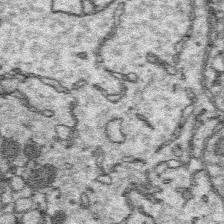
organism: Platynereis dumerilii